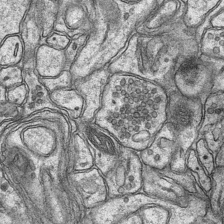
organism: Mouse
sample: CA1 Hippocampus